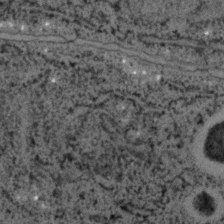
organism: C. elegans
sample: C. elegans embryo